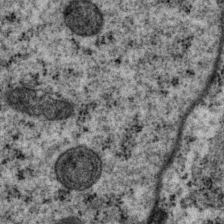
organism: P. pacificus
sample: Pharynx